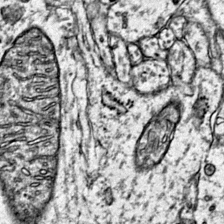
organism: Mouse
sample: Primary visual cortex